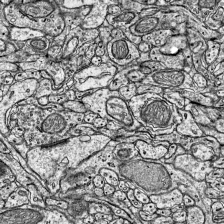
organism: Mouse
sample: Visual Cortex